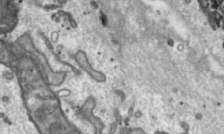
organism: Toxoplasma gondii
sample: Parasites in a vacuole inside a host cell